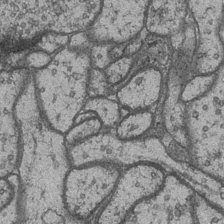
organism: Drosophila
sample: Optic medulla